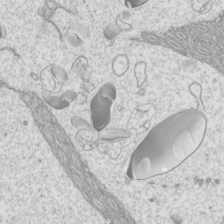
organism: Mouse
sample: Cilia; mouse epididymis